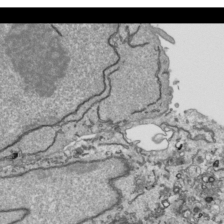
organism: Human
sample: Mitochondria in HCT116 cells